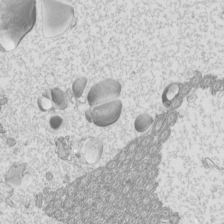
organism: Mouse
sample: Cilia; mouse epididymis